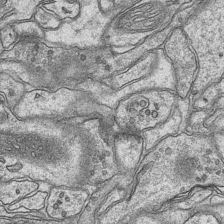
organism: Mouse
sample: CA1 Hippocampus